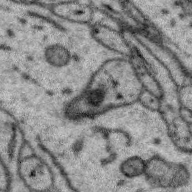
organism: Zebra finch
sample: Brain